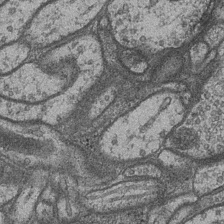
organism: Drosophila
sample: Optic medulla